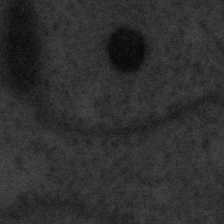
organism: Tuwongella immobilis